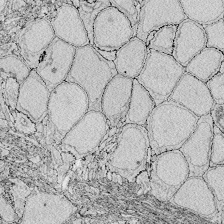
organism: Zebrafish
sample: Whole-Brain